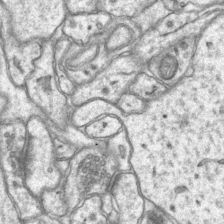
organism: Mouse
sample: CA1 Hippocampus